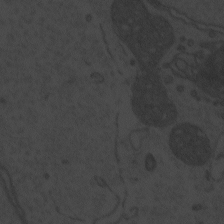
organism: Zebrafish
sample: Macrophage infected with Toxoplasma gondii